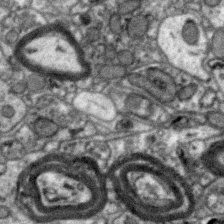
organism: Zebra finch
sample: Brain